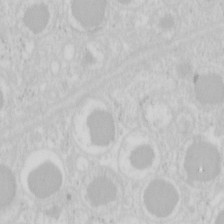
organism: Mouse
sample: Pancreas